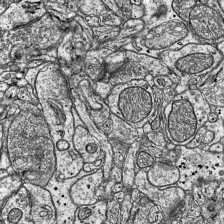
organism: Mouse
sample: Visual Cortex